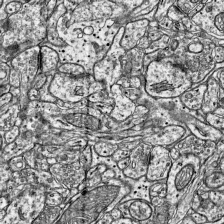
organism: Mouse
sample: Visual Cortex